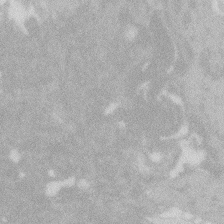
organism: Zebrafish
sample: Macrophage